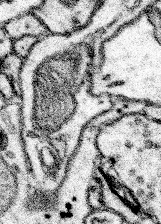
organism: Mouse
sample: Somatosensory cortex neuropil